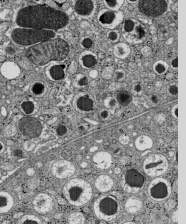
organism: C57BL Mouse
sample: Pancreatic islet